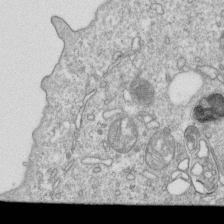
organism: Mouse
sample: Activated OT-1 CD8+ T cells